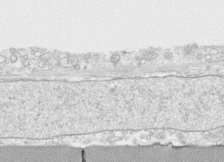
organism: Human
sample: CRL-1474